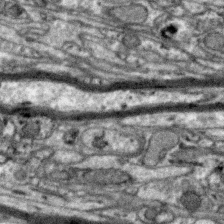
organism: Zebra finch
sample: Brain